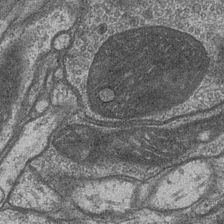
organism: Drosophila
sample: Optic medulla